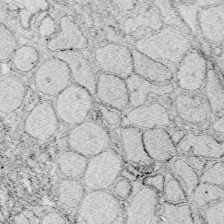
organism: Zebrafish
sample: Whole-Brain